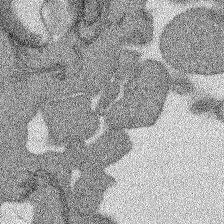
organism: Human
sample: HeLa cells